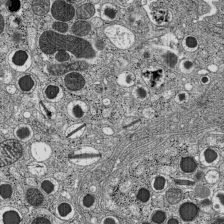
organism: C57BL Mouse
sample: Pancreatic islet